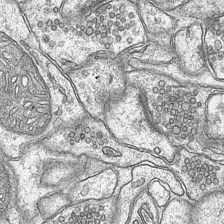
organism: Mouse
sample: CA1 Hippocampus